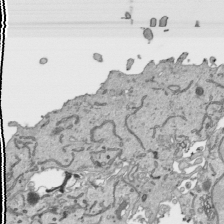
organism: Human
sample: Mitochondria in HCT116 cells